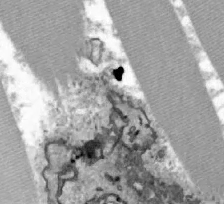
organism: Zebrafish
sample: Actinotrichia fibers